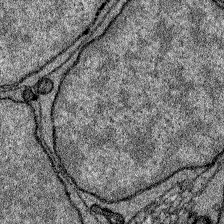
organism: Zebrafish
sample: Larval olfactory bulb